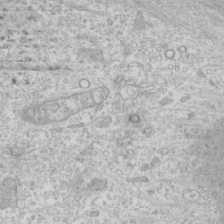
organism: Human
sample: CRL-1474